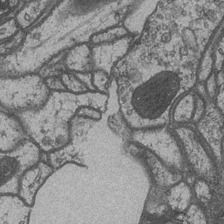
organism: Drosophila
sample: Optic medulla